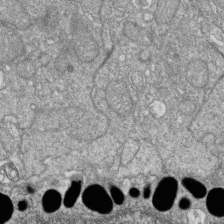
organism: Zebrafish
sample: Cilia; retinal pigment epithelium